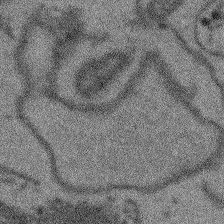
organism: Arabidopsis thaliana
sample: Root tip